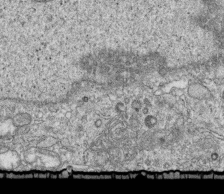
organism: Human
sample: HeLa cell HIV synapse